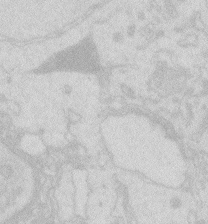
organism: Zebrafish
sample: Macrophage